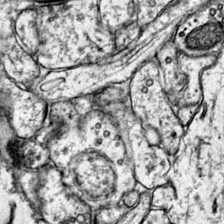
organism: Mouse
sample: Primary visual cortex